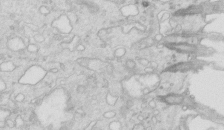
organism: Mouse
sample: Multiciliated cells